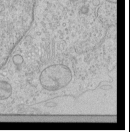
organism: Human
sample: Mitochondria in HCT116 cells